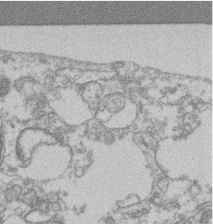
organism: Mouse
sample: T cell stromal cell synapse